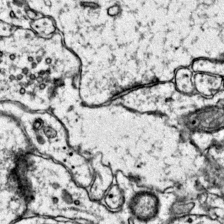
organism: Mouse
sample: Primary visual cortex